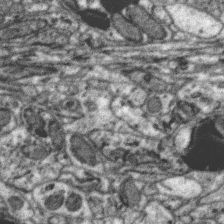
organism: Zebra finch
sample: Brain